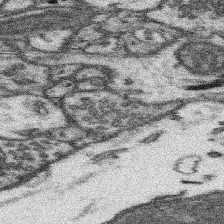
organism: Mouse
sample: Somatosensory cortex neuropil